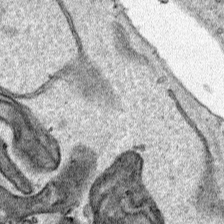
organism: Human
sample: Mitochondria in HCT116 cells